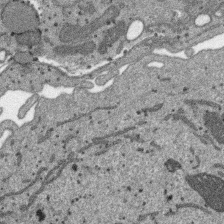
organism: Human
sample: Lung epithelial cells infected with SARS-CoV-2